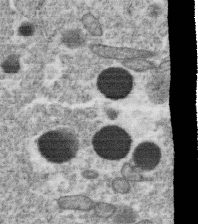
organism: C. elegans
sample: C. elegans oocyte; sperm cells